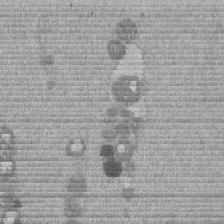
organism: Mouse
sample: Dividing mouse embryo 1 cell stage